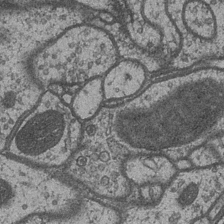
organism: Drosophila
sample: Optic medulla